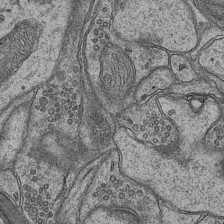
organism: Mouse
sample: CA1 Hippocampus